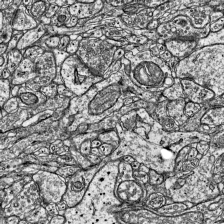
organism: Mouse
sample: Visual Cortex